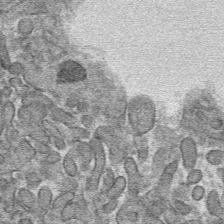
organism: Mouse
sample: Mouse hepatocytes